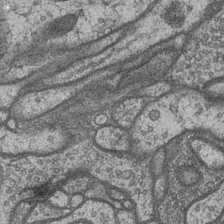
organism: Drosophila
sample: Optic medulla